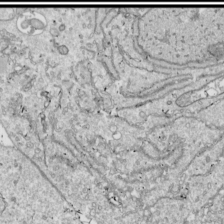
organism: Drosophila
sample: Cell division; meiosis; drosophila spermatocytes